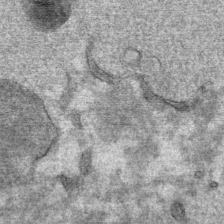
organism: Mouse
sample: Mouse Salivary gland